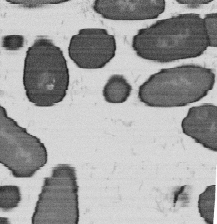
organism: B. subtilis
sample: Bacterial spore